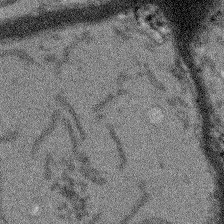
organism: Arabidopsis thaliana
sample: Root tip